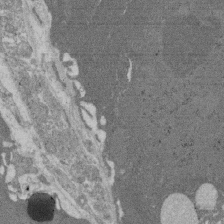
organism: Rat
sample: Salivary granule